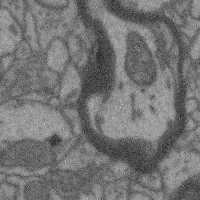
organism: Mouse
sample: Cerebral cortex